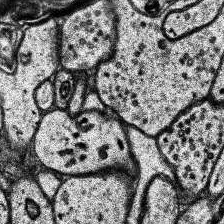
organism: Human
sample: Temporal Lobe